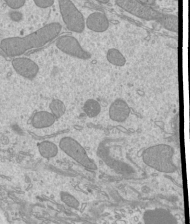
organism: Mouse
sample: Cilia; mouse epididymis